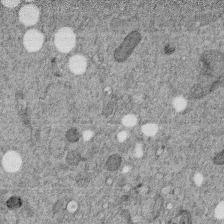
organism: C. elegans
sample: C. elegans embryo early stage